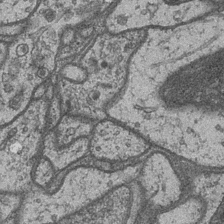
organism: Drosophila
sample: Optic medulla